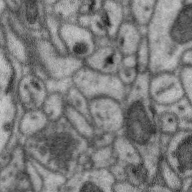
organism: Zebra finch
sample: Brain